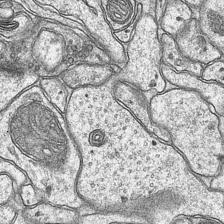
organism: Mouse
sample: CA1 Hippocampus